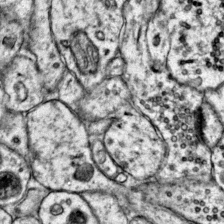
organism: Mouse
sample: Primary visual cortex